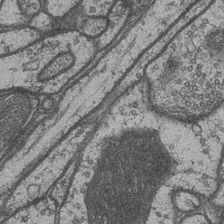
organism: Drosophila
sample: Optic medulla